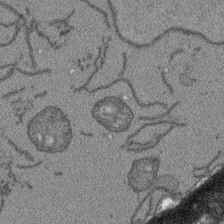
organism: Arabidopsis thaliana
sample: Root tip